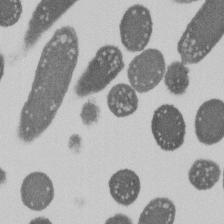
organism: E. coli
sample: Bacterial nucleoid